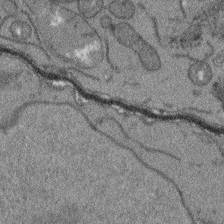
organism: Arabidopsis thaliana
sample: Root tip